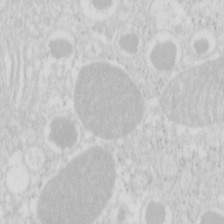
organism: Mouse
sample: Pancreas